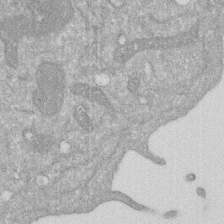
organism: Human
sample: HIV infected U937 cells